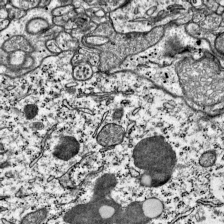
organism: Mouse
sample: Visual Cortex